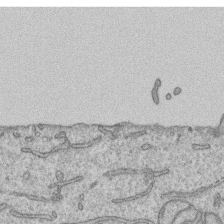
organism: Human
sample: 1205lu cells